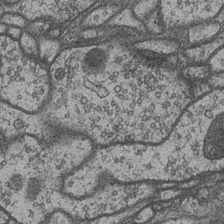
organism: Drosophila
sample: Optic medulla